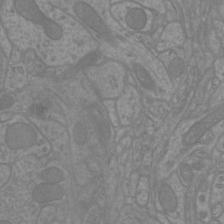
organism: Mouse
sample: Cortical neurons